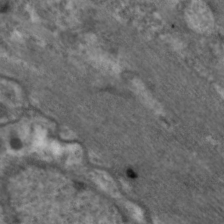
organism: C. elegans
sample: Pharynx